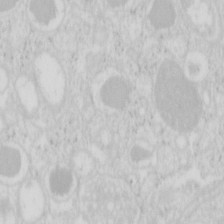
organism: Mouse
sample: Pancreas